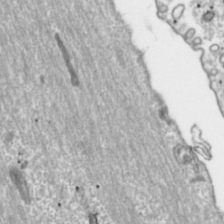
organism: Toxoplasma gondii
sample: Parasites in a vacuole inside a host cell